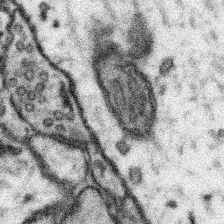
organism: Mouse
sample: Somatosensory cortex neuropil